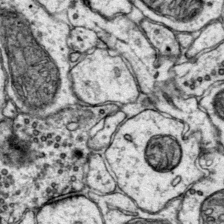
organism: Mouse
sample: Primary visual cortex